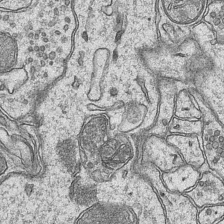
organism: Mouse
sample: CA1 Hippocampus